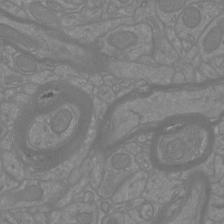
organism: Mouse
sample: Cortical neurons